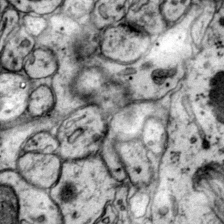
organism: Mouse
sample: Primary visual cortex